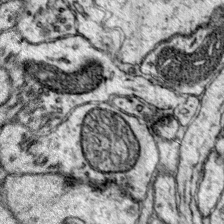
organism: Mouse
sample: Primary visual cortex